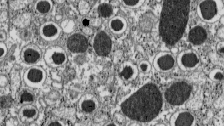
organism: C57BL Mouse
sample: Pancreatic islet